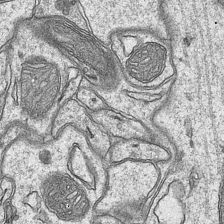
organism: Mouse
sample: CA1 Hippocampus